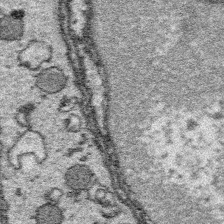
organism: Platynereis dumerilii